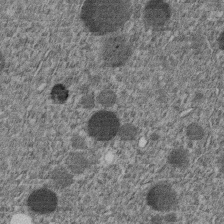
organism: C. elegans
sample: C. elegans embryo early stage